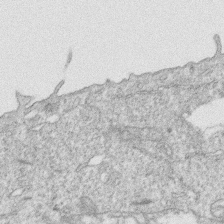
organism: Human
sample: HeLa cell HIV synapse